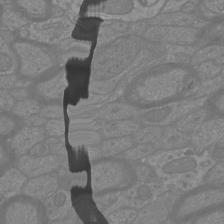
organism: Mouse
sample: Cortical neurons